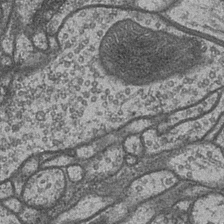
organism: Drosophila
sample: Optic medulla